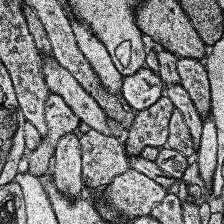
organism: Human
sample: Temporal Lobe